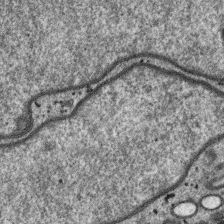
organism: Human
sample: Lung epithelial cells infected with SARS-CoV-2